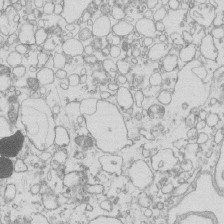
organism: Mouse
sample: Macrophages